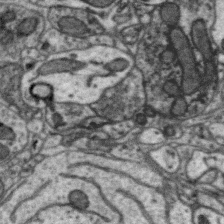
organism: Zebra finch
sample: Brain